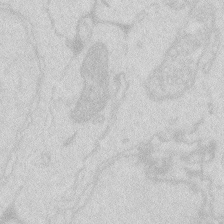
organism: Zebrafish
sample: Macrophage